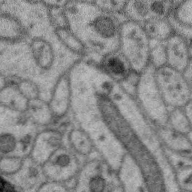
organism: Zebra finch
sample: Brain